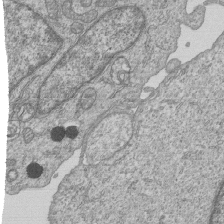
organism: Human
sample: MDA-MB-231 cells